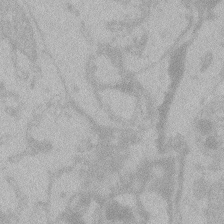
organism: Zebrafish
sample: Macrophage infected with Toxoplasma gondii